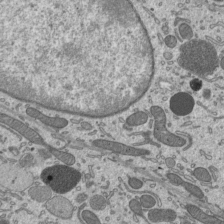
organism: Mouse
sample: Mouse epididymis efferent ductule cilia